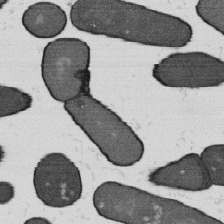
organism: B. subtilis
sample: Bacterial spore